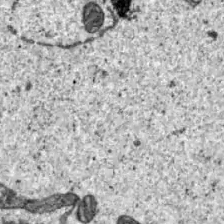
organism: Human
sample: HeLa cells